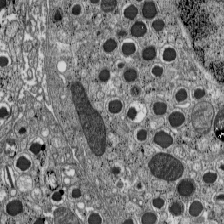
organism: C57BL Mouse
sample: Pancreatic islet